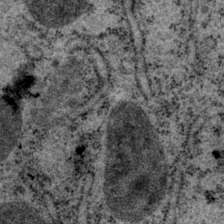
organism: P. pacificus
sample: Pharynx